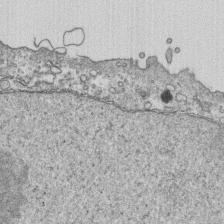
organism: Human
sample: HeLa cell HIV synapse